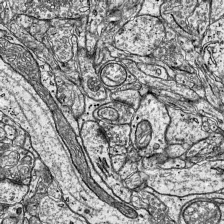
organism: Mouse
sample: Visual Cortex